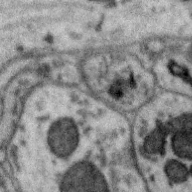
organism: Zebra finch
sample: Brain